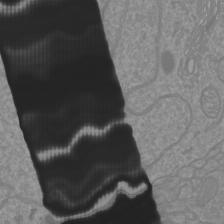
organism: Mouse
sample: Cortical neurons